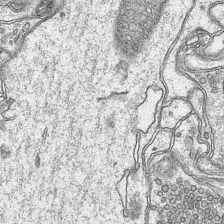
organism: Mouse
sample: CA1 Hippocampus